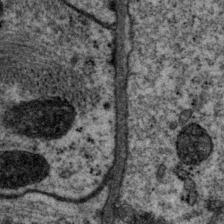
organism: P. pacificus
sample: Pharynx